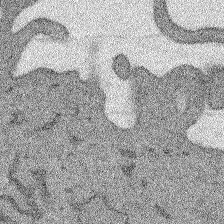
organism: Human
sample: HeLa cells